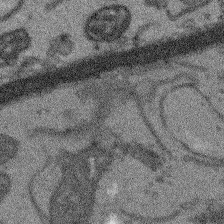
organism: Arabidopsis thaliana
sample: Root tip